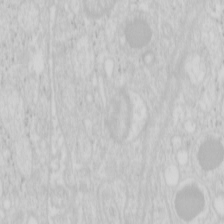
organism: Mouse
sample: Pancreas